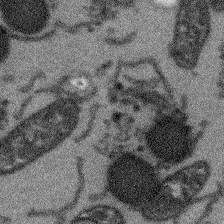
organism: Arabidopsis thaliana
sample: Root tip